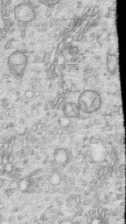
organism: Human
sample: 1205lu cells